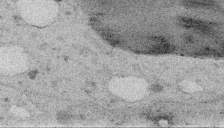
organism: Embia sp.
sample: Silk gland